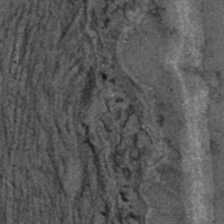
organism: C. elegans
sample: C. elegans embryo